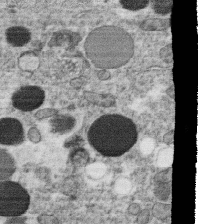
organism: C. elegans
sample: C. elegans oocyte; sperm cells